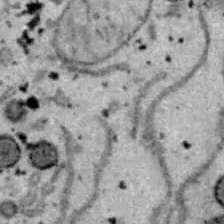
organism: Mouse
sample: Liver from an obese (ob/ob) mouse